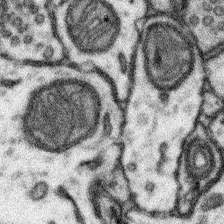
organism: Mouse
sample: Somatosensory cortex neuropil